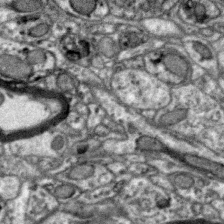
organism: Zebra finch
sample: Brain